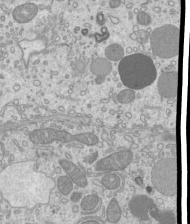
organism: Mouse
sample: Cilia; mouse epididymis